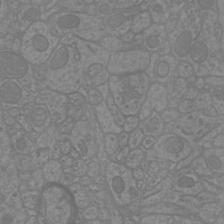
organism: Mouse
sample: Cortical neurons